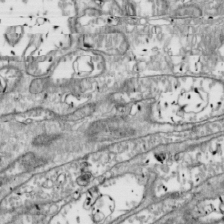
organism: Drosophila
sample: Cell division; meiosis; drosophila spermatocytes